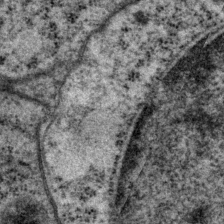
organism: P. pacificus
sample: Pharynx